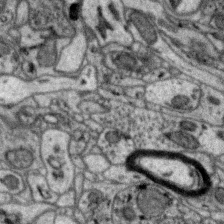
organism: Zebra finch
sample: Brain